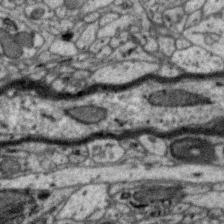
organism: Zebra finch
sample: Brain